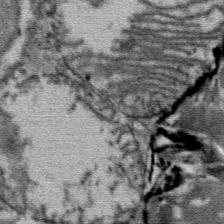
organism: Mouse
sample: Mouse Salivary gland